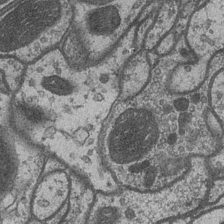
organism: Drosophila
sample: Optic medulla